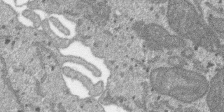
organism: Human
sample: Lung epithelial cells infected with SARS-CoV-2